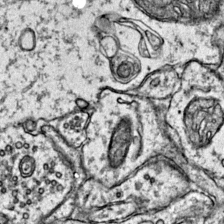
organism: Mouse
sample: Primary visual cortex